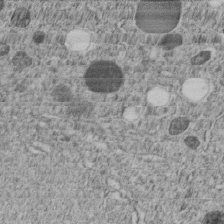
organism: C. elegans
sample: C. elegans embryo early stage